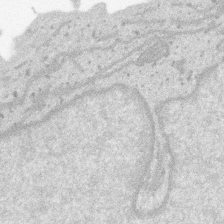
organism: Human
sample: Lung epithelial cells infected with SARS-CoV-2